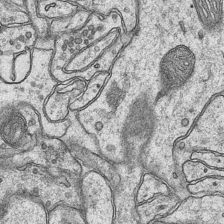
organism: Mouse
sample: CA1 Hippocampus